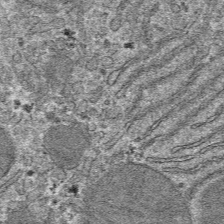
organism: Mouse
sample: Mouse hepatocytes